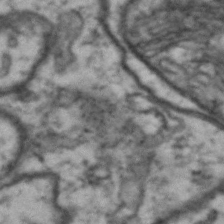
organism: Drosophila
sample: Brain